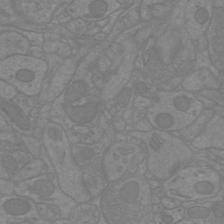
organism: Mouse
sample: Cortical neurons